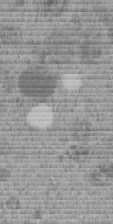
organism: C. elegans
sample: C. elegans embryo early stage